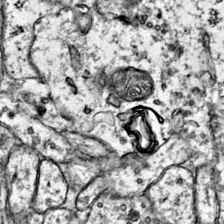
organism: Mouse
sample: Primary visual cortex